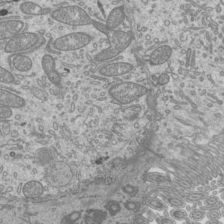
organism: Mouse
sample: Cilia; mouse epididymis